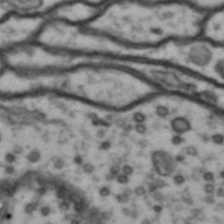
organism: Drosophila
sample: Brain